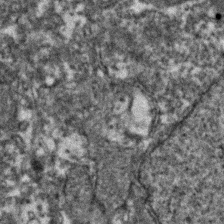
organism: Zebrafish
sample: Zebrafish embryo